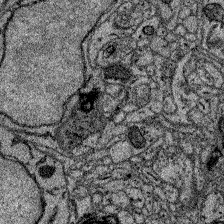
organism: Zebrafish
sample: Larval olfactory bulb